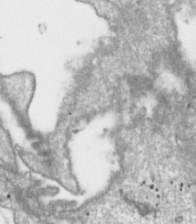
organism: Toxoplasma gondii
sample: Parasites in a vacuole inside a host cell